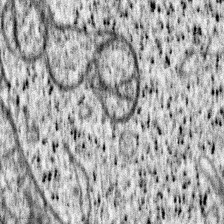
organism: Human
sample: HeLa cells